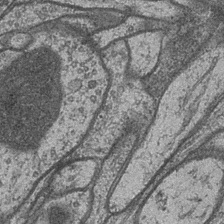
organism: Drosophila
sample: Optic medulla